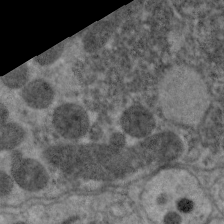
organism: C. elegans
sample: Pharynx